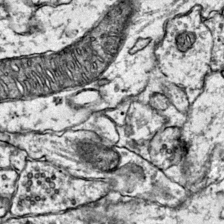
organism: Mouse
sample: Primary visual cortex